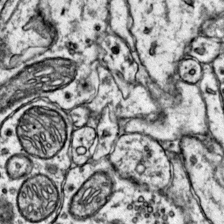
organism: Mouse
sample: Primary visual cortex